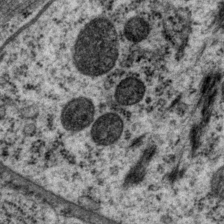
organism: P. pacificus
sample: Pharynx